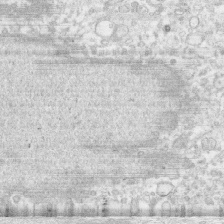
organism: Human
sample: CRL-1474